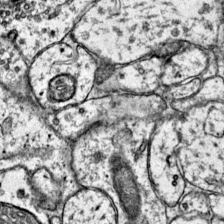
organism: Mouse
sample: Primary visual cortex